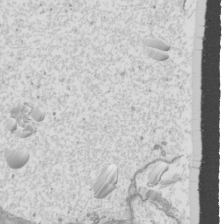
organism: Mouse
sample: Cilia; mouse epididymis